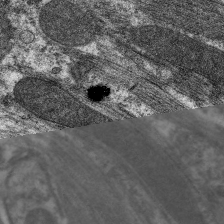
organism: C. elegans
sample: Pharynx